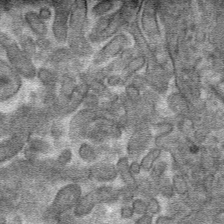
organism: Mouse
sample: Mouse hepatocytes